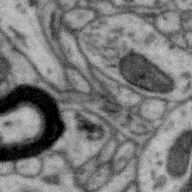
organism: Zebra finch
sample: Brain